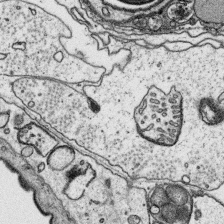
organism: Platynereis dumerilii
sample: Parapodia